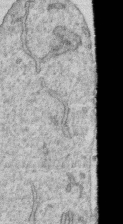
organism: Human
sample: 1205lu cells